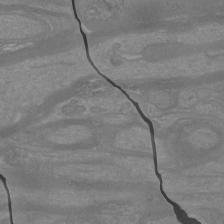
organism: Mouse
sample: Cortical neurons